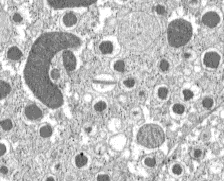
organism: C57BL Mouse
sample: Pancreatic islet